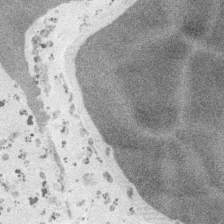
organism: Embia sp.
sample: Silk gland